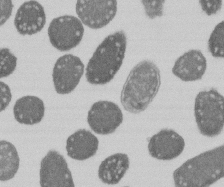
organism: E. coli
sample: Bacterial nucleoid